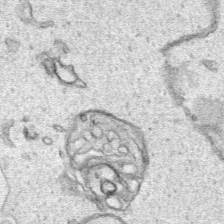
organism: Human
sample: Mitochondria in HCT116 cells